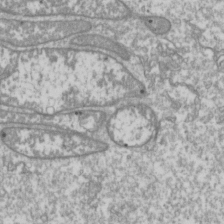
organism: Drosophila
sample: Cell division; meiosis; drosophila spermatocytes